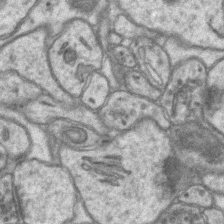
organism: Mouse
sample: CA1 Hippocampus